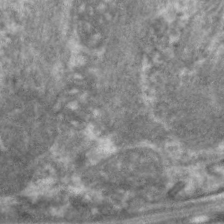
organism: C. elegans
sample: Pharynx